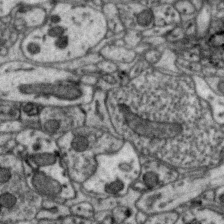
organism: Zebra finch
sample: Brain